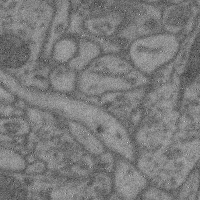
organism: Mouse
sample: Cerebral cortex